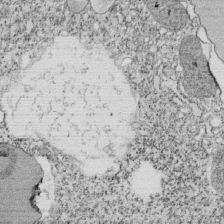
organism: Tetrahymena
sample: Cilia in tetrahymena